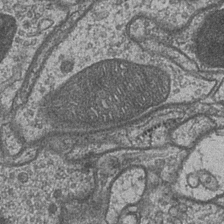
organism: Drosophila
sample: Optic medulla